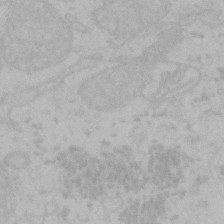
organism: Mouse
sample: Choroid plexus